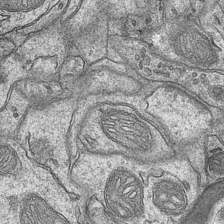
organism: Mouse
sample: CA1 Hippocampus